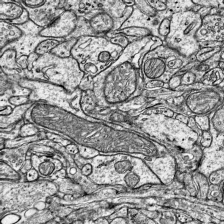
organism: Mouse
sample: Visual Cortex